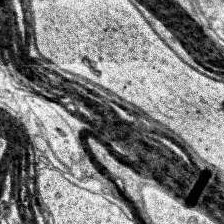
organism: Human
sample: Temporal Lobe